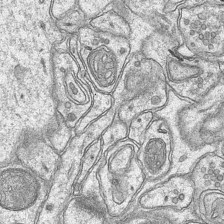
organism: Mouse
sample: CA1 Hippocampus